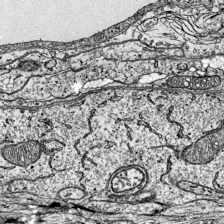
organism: Mouse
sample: Visual Cortex